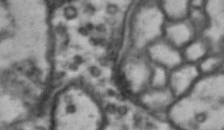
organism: Drosophila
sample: Brain